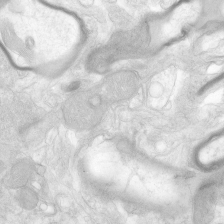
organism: Human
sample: Neocortex